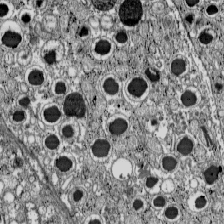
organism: C57BL Mouse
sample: Pancreatic islet